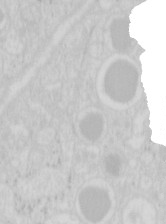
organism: Mouse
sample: Pancreas